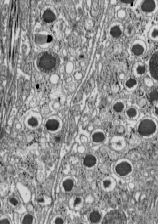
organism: C57BL Mouse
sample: Pancreatic islet